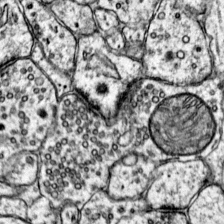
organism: Mouse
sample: Primary visual cortex